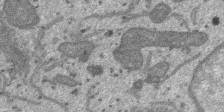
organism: Human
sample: Lung epithelial cells infected with SARS-CoV-2